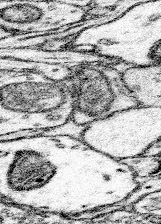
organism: Mouse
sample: Somatosensory cortex neuropil